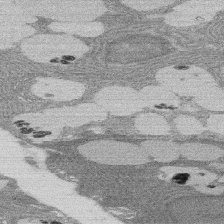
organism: Rat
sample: Salivary granule